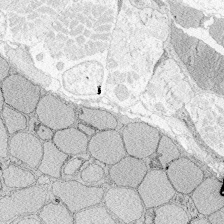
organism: Zebrafish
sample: Whole-Brain